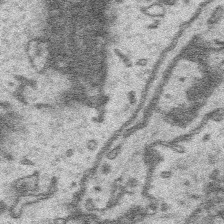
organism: Platynereis dumerilii